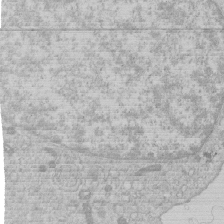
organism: Human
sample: Macrophage cells